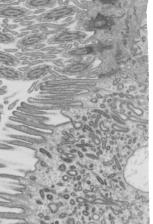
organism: Mouse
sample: Mouse epididymis efferent ductule cilia